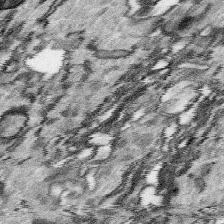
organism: Human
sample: HeLa cells